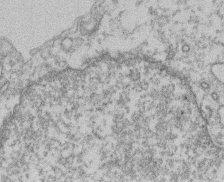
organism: Mouse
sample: T cell stromal cell synapse